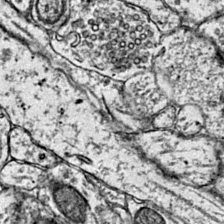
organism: Mouse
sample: Primary visual cortex